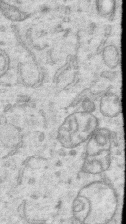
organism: Human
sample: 1205lu cells